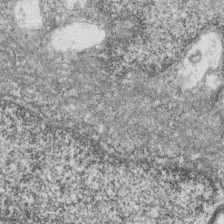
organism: Zebrafish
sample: Cilia; retinal pigment epithelium